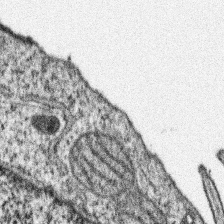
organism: Human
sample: HeLa cells